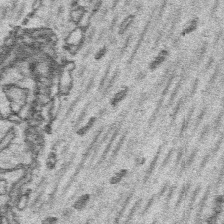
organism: Platynereis dumerilii